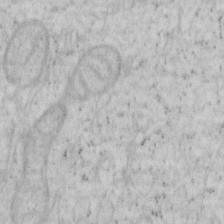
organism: Human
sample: HeLa cells